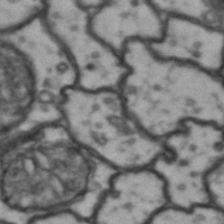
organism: Drosophila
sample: Brain